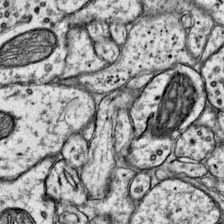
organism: Mouse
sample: Primary visual cortex